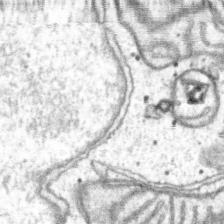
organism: Human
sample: HeLa cells